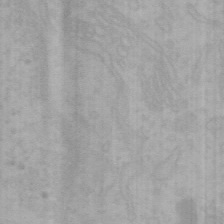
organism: Mouse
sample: Choroid plexus